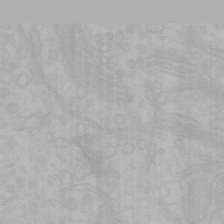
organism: Mouse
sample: Choroid plexus